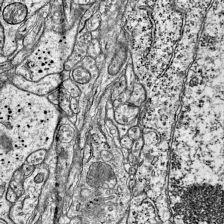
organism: Mouse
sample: Visual Cortex